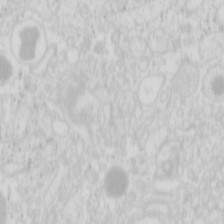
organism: Mouse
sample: Pancreas